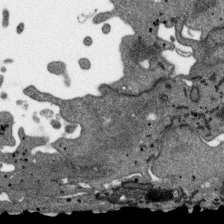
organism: Human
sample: Lung epithelial cells, uninfected (mock) control